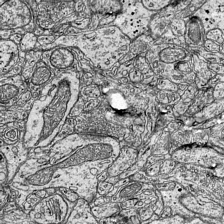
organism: Mouse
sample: Visual Cortex